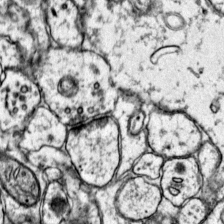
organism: Mouse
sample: Primary visual cortex